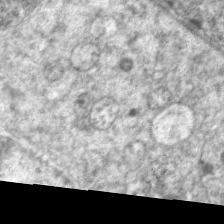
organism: C. elegans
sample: Pharynx